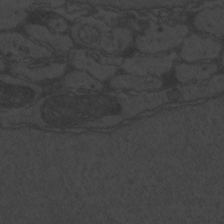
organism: Zebrafish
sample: Macrophage infected with Toxoplasma gondii